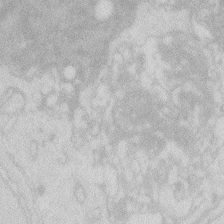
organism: Zebrafish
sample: Macrophage